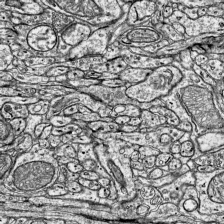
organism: Mouse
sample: Visual Cortex